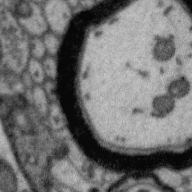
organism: Zebra finch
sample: Brain